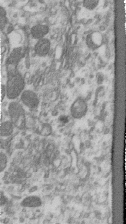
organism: Human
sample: Centriole in RPE cells